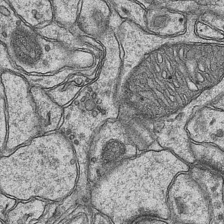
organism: Mouse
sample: CA1 Hippocampus